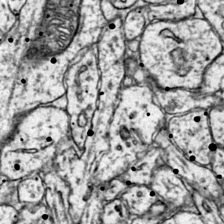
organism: Mouse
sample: Primary visual cortex